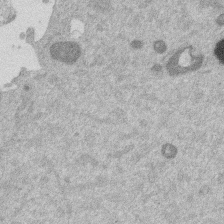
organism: Mouse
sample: Dividing mouse embryo 1 cell stage